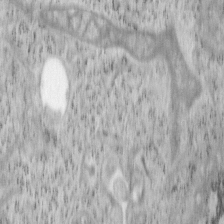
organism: Human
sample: HeLa cells